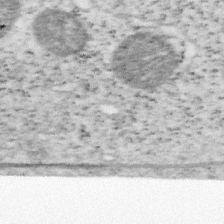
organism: Mouse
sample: OT-I killer T cells with ID8 ovarian cancer cells